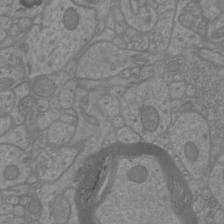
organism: Mouse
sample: Cortical neurons